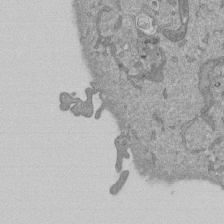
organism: Mouse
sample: ED-1 cell nuclei; centrioles